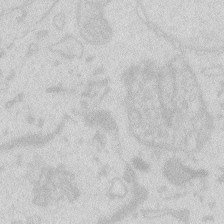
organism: Zebrafish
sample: Macrophage